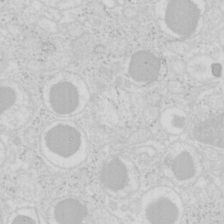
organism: Mouse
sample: Pancreas